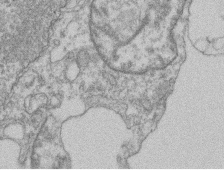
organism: Mouse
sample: T cell stromal cell synapse